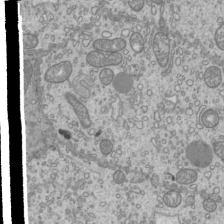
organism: Mouse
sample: Cilia; mouse epididymis